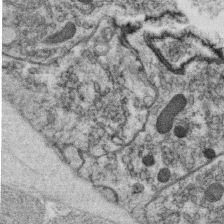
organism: C. elegans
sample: C. elegans oocyte; sperm cells